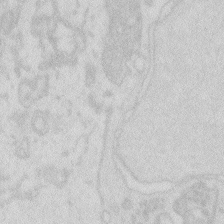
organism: Zebrafish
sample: Macrophage